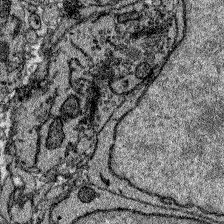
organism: Zebrafish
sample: Larval olfactory bulb